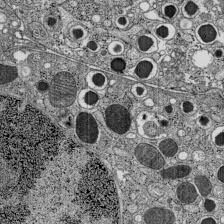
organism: C57BL Mouse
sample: Pancreatic islet